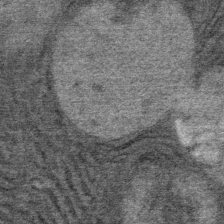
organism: Mouse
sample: Mouse Salivary gland